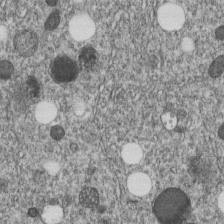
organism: C. elegans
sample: C. elegans embryo early stage